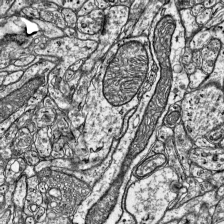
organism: Mouse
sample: Visual Cortex